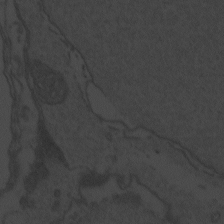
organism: Zebrafish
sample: Macrophage infected with Toxoplasma gondii